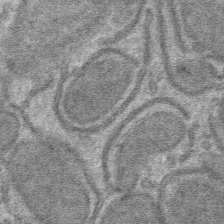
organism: Mouse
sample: Mouse hepatocytes